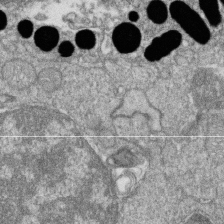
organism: Zebrafish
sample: Cilia; retinal pigment epithelium